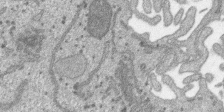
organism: Human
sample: Lung epithelial cells infected with SARS-CoV-2